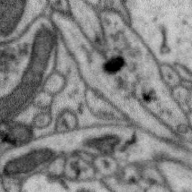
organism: Zebra finch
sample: Brain